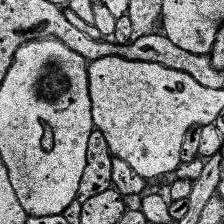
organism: Human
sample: Temporal Lobe